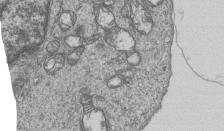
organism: Human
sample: MDA-MB-231 cells